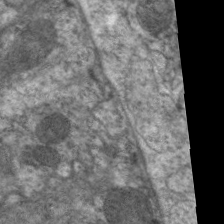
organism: C. elegans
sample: Pharynx